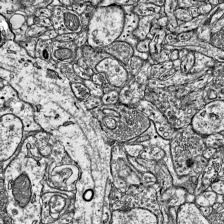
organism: Mouse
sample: Visual Cortex